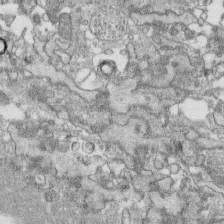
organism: Human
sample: CRL-1474